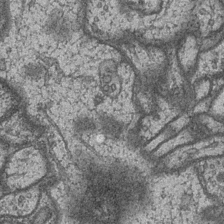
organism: Drosophila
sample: Optic medulla